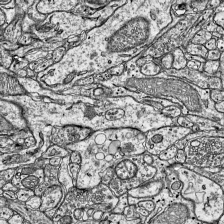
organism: Mouse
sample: Visual Cortex